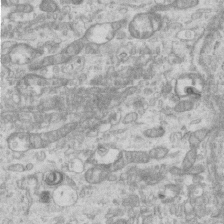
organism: Mouse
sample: Centriole in ependymal cells